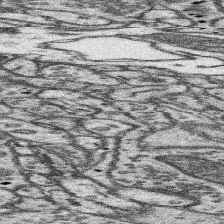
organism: Mouse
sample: Somatosensory cortex neuropil